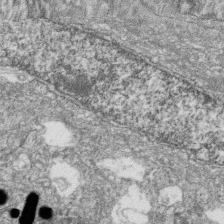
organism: Zebrafish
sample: Cilia; retinal pigment epithelium